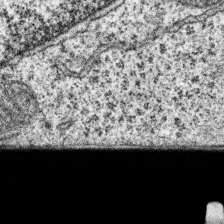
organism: Human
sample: HeLa cells